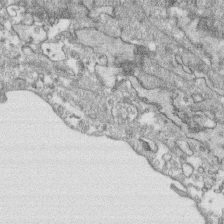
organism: Human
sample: CRL-1474